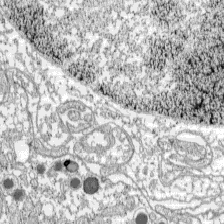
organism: C57BL Mouse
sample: Pancreatic islet